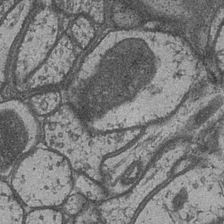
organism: Drosophila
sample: Optic medulla